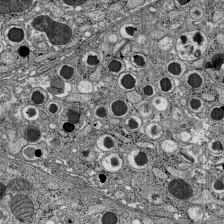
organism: C57BL Mouse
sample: Pancreatic islet